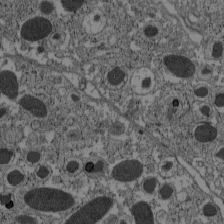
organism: C57BL Mouse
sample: Pancreatic islet